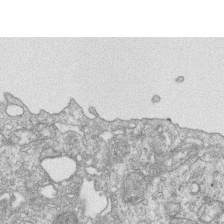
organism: Human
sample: HeLa cell HIV synapse